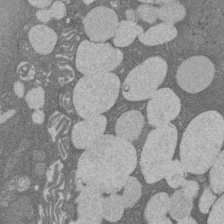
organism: Rat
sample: Salivary granule